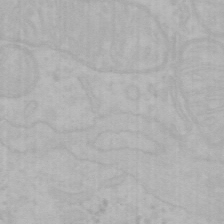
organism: Mouse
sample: Choroid plexus